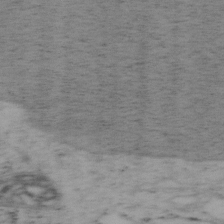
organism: Mouse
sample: OT-I killer T cells with ID8 ovarian cancer cells